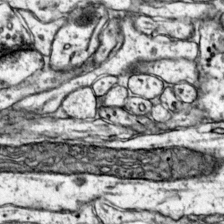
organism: Mouse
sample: Primary visual cortex